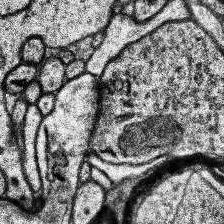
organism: Human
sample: Temporal Lobe